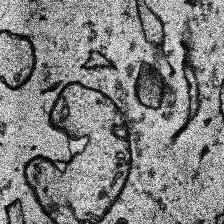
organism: Human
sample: Temporal Lobe